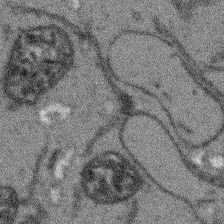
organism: Arabidopsis thaliana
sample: Root tip